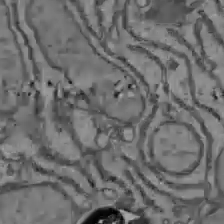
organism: C57BL Mouse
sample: Liver